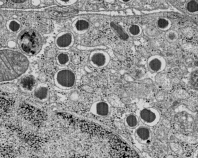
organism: C57BL Mouse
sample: Pancreatic islet